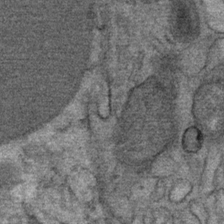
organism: Mouse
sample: Mouse Salivary gland